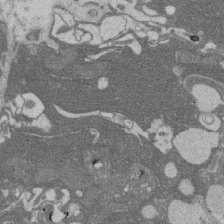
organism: Rat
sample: Salivary granule